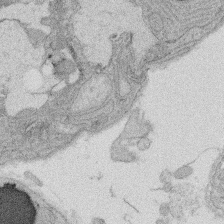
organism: Rat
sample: Salivary granule